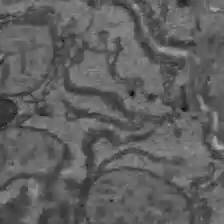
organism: C57BL Mouse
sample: Liver